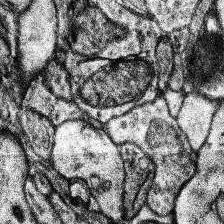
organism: Human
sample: Temporal Lobe